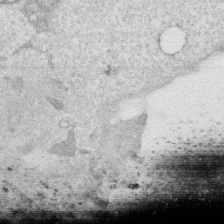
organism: Human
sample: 1205lu cells